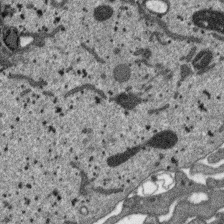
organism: Human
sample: Lung epithelial cells infected with SARS-CoV-2